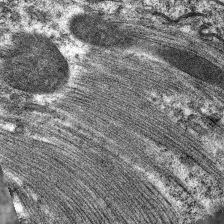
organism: C. elegans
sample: Pharynx